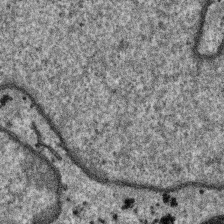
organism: Human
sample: Lung epithelial cells infected with SARS-CoV-2